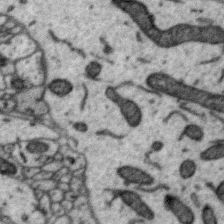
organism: Zebra finch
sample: Brain